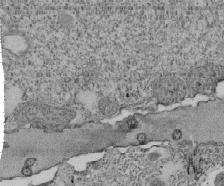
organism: Tetrahymena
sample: Cilia in tetrahymena